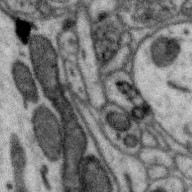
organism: Zebra finch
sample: Brain